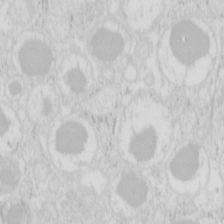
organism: Mouse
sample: Pancreas